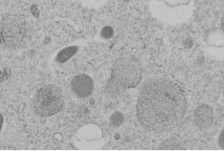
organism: C. elegans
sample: C. elegans embryo early stage